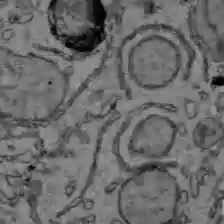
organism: C57BL Mouse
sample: Liver